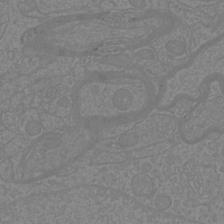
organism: Mouse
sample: Cortical neurons